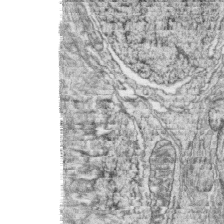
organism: Zebrafish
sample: synaptic ribbons in rod cells and cone cells